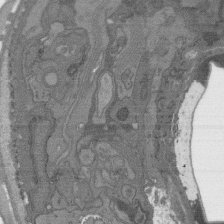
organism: C. elegans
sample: AFD neurons C. elegans